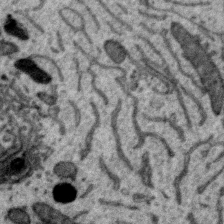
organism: Zebra finch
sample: Brain